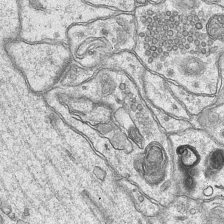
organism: Mouse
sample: CA1 Hippocampus